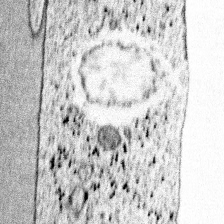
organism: Human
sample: HeLa cells